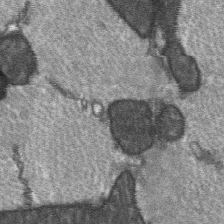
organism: C57BL Mouse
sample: Soleus